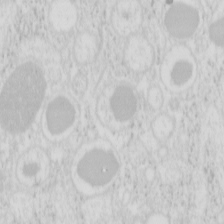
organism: Mouse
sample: Pancreas